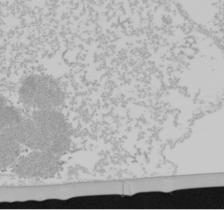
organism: Mouse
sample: Cancer cell death in ED-1 cells